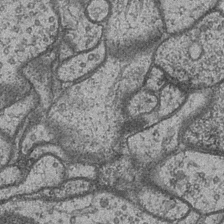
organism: Drosophila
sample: Optic medulla